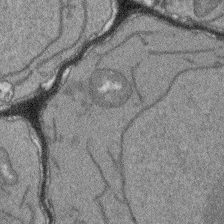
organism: Arabidopsis thaliana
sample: Root tip